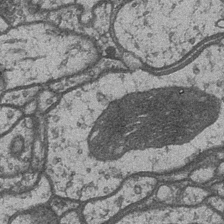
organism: Drosophila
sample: Optic medulla